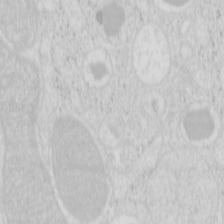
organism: Mouse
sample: Pancreas